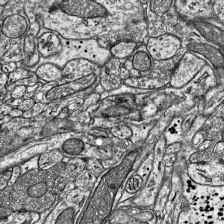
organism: Mouse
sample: Visual Cortex